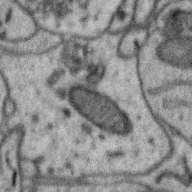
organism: Zebra finch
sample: Brain